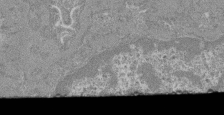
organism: Mouse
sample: Glomerulus